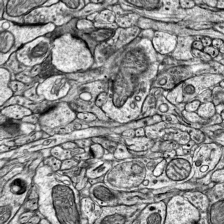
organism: Mouse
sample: Visual Cortex